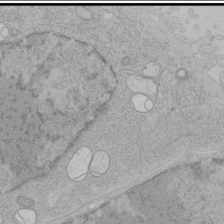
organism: Human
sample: Mitochondria in HCT116 cells